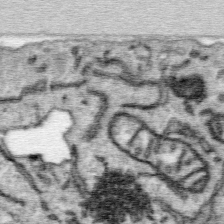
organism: Human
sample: HeLa cells